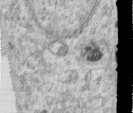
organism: Human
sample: Centriole in RPE cells